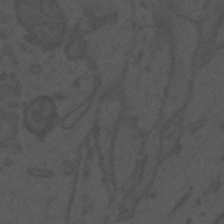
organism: Mouse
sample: Suprachiasmatic nucleus